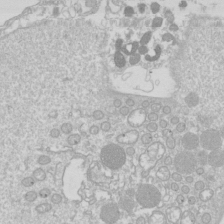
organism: Drosophila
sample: Cell division; meiosis; drosophila spermatocytes